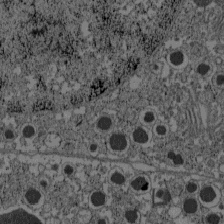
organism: C57BL Mouse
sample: Pancreatic islet